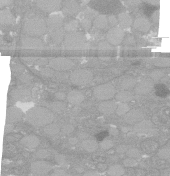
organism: C. elegans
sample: C. elegans oocyte; sperm cells